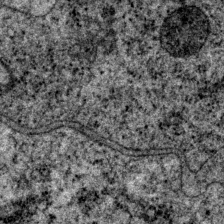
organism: P. pacificus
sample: Pharynx